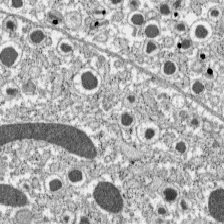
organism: C57BL Mouse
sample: Pancreatic islet